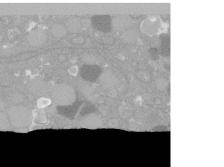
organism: C. elegans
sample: C. elegans oocyte; sperm cells